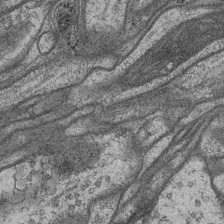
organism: Drosophila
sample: Optic medulla